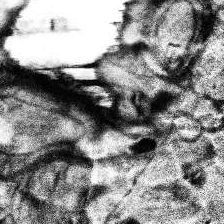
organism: Human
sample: Temporal Lobe